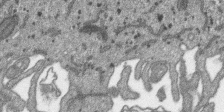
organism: Human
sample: Lung epithelial cells infected with SARS-CoV-2